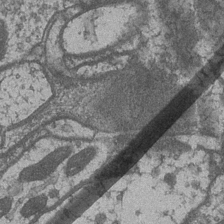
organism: Drosophila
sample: Optic medulla